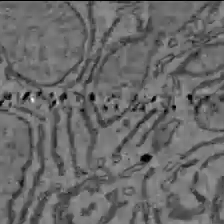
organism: C57BL Mouse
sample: Liver